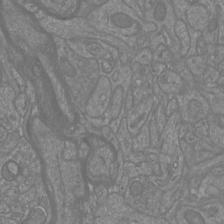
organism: Mouse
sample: Cortical neurons